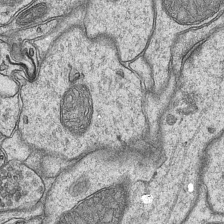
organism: Mouse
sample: CA1 Hippocampus